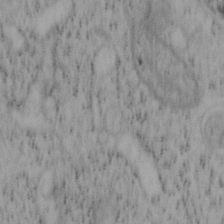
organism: Mouse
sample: OT-I killer T cells with ID8 ovarian cancer cells